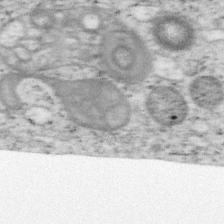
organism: Mouse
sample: OT-I killer T cells with ID8 ovarian cancer cells